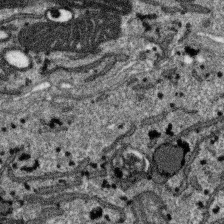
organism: Human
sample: Lung epithelial cells infected with SARS-CoV-2